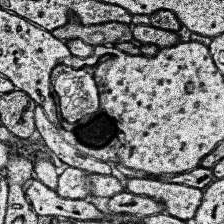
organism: Human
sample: Temporal Lobe